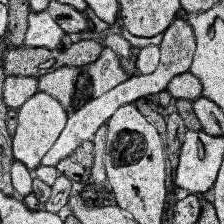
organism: Human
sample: Temporal Lobe